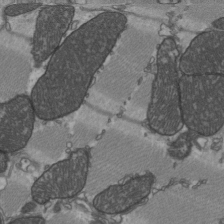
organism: C57BL Mouse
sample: Heart